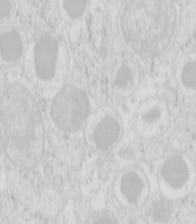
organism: Mouse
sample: Pancreas